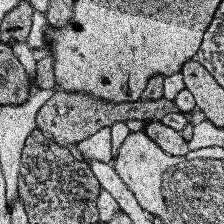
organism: Human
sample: Temporal Lobe